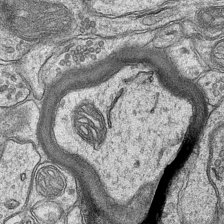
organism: Mouse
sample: CA1 Hippocampus